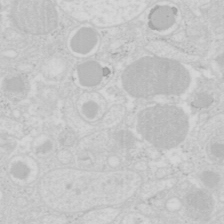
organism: Mouse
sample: Pancreas